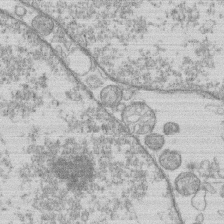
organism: Human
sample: Macrophage cells